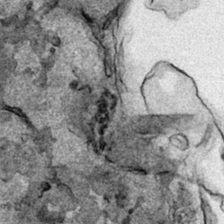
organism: Human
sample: Mitochondria in HCT116 cells